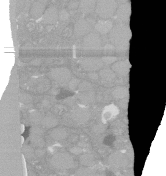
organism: C. elegans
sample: C. elegans oocyte; sperm cells